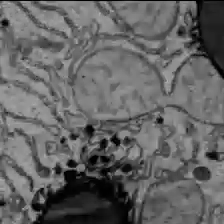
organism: C57BL Mouse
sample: Liver